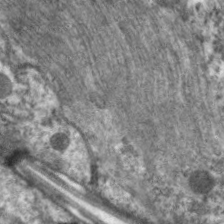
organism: C. elegans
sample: Pharynx